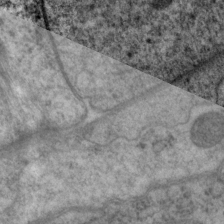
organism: P. pacificus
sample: Pharynx